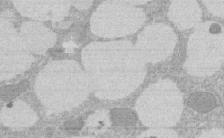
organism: Rat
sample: Salivary granule